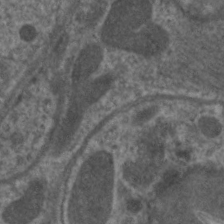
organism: C. elegans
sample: Pharynx